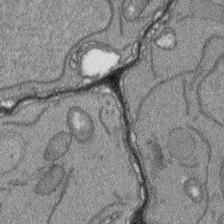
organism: Arabidopsis thaliana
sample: Root tip